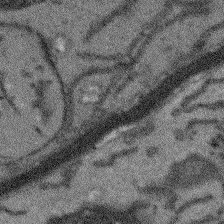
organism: Arabidopsis thaliana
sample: Root tip